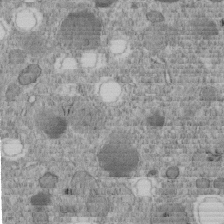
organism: C. elegans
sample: C. elegans embryo early stage